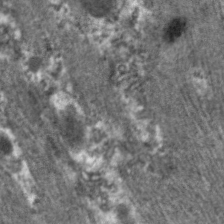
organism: C. elegans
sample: Pharynx